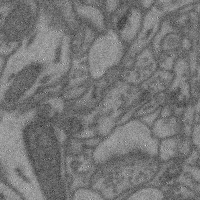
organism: Mouse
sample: Cerebral cortex